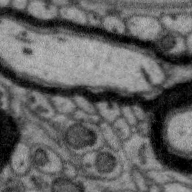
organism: Zebra finch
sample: Brain